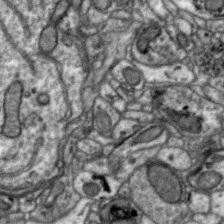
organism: Zebra finch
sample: Brain